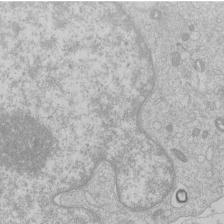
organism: Human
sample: Macrophage cells